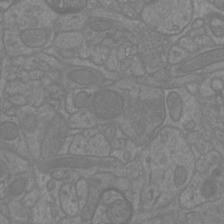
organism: Mouse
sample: Cortical neurons